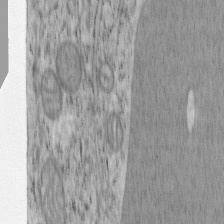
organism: Human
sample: HeLa cells